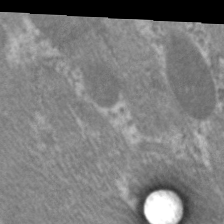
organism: C. elegans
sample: Pharynx